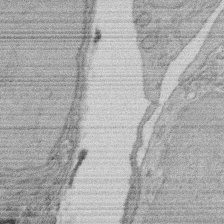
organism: Rat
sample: Salivary granule